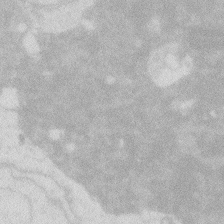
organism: Zebrafish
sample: Macrophage